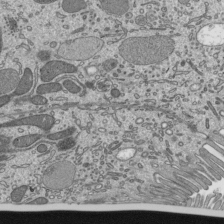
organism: Mouse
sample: Mouse epididymis efferent ductule cilia